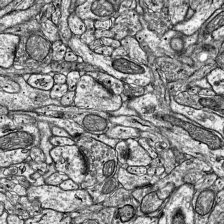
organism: Mouse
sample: Visual Cortex